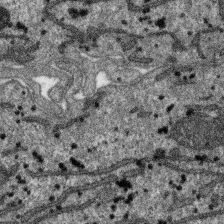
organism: Human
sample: Lung epithelial cells infected with SARS-CoV-2